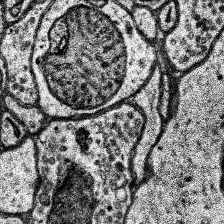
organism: Human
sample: Temporal Lobe